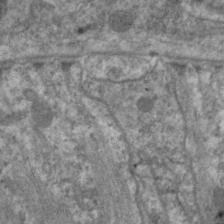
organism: C. elegans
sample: Pharynx